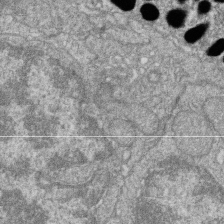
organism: Zebrafish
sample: Cilia; retinal pigment epithelium